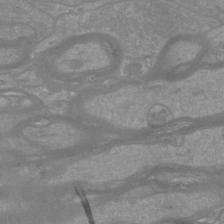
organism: Mouse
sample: Cortical neurons